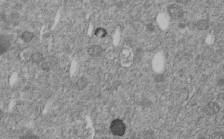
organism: C. elegans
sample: C. elegans embryo early stage